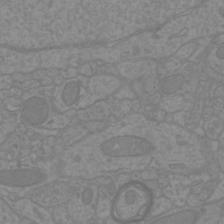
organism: Mouse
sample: Cortical neurons